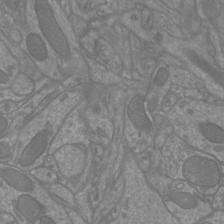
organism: Mouse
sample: Cortical neurons